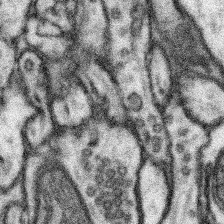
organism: Mouse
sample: Somatosensory cortex neuropil